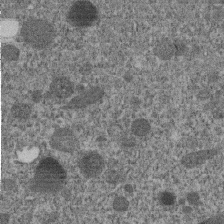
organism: C. elegans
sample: C. elegans embryo early stage